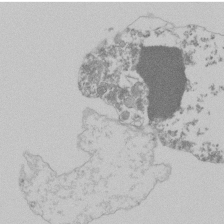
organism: Mouse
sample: Activated Pmel transgenic CD8+ T Cells